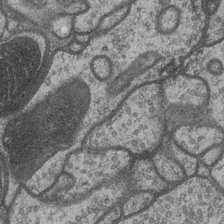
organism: Drosophila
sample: Optic medulla